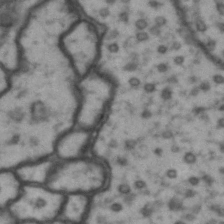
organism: Drosophila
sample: Brain